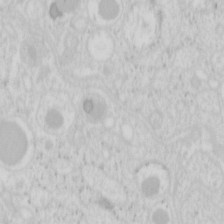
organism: Mouse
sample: Pancreas